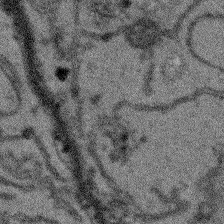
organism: Arabidopsis thaliana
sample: Root tip